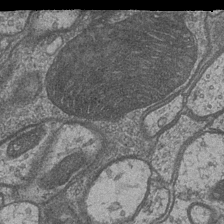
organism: Drosophila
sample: Optic medulla